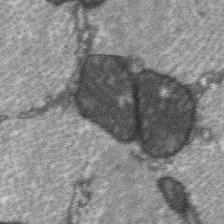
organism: C57BL Mouse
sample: Soleus